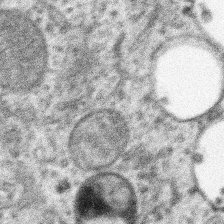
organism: Human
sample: HeLa cells